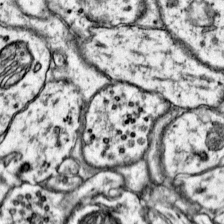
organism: Mouse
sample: Primary visual cortex